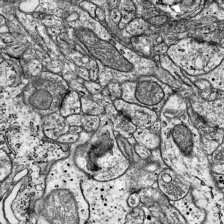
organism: Mouse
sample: Visual Cortex